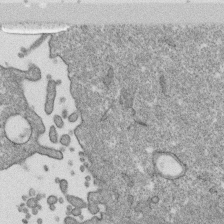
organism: African green monkey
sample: Vero E6 cells infected with SARS-CoV-2